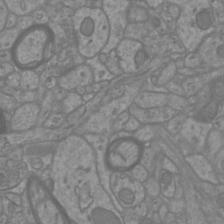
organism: Mouse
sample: Cortical neurons